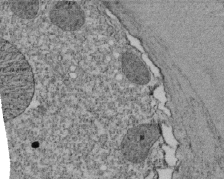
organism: Tetrahymena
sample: Cilia in tetrahymena